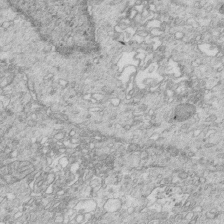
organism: Mouse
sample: Multiciliated cells